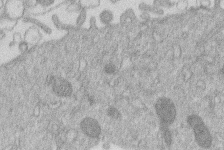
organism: Human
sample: Macrophage cells